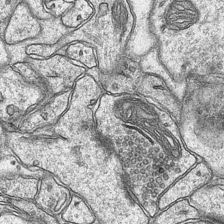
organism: Mouse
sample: CA1 Hippocampus